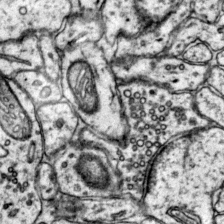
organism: Mouse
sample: Primary visual cortex